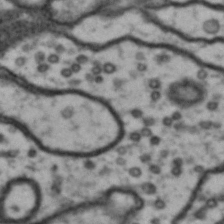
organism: Drosophila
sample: Brain